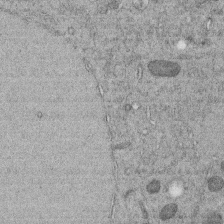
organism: C. elegans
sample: C. elegans embryo early stage